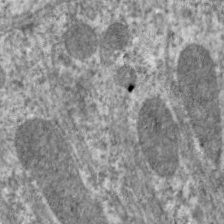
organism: C. elegans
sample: Pharynx